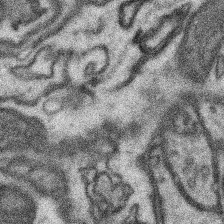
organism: Mouse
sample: Somatosensory cortex neuropil